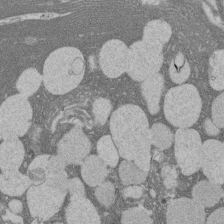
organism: Rat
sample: Salivary granule